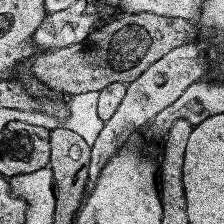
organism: Human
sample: Temporal Lobe